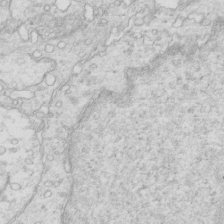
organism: Mouse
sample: Multiciliated cells